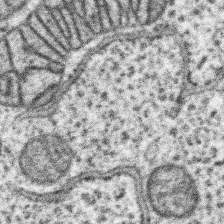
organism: Human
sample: HeLa cells